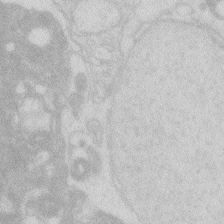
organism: Zebrafish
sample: Macrophage